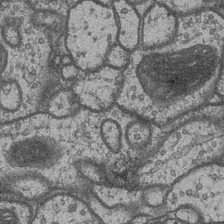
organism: Drosophila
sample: Optic medulla